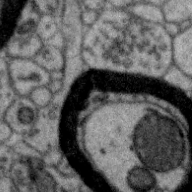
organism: Zebra finch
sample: Brain